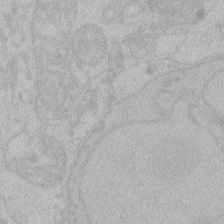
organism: Zebrafish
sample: Macrophage infected with Toxoplasma gondii